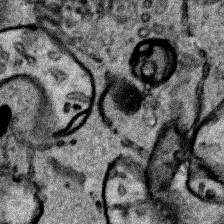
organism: Human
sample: Mitochondria in HCT116 cells